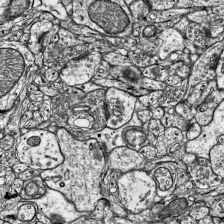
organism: Mouse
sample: Visual Cortex